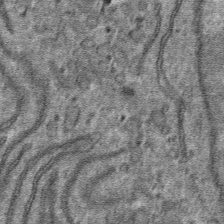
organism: Mouse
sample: Mouse hepatocytes